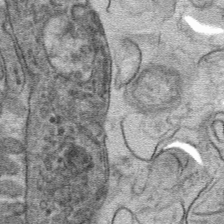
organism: Mouse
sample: Mouse hepatocytes